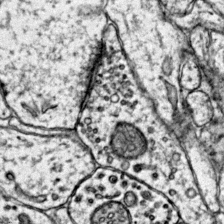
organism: Mouse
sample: Primary visual cortex